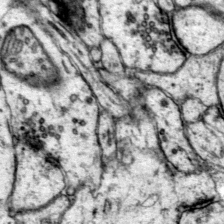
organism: Mouse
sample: Primary visual cortex